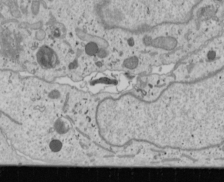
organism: Human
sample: Mitochondria in U2OS cells